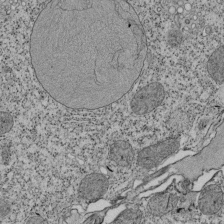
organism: Tetrahymena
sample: Cilia in tetrahymena